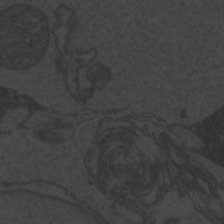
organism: Zebrafish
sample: Macrophage infected with Toxoplasma gondii